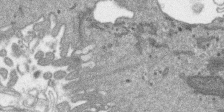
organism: Human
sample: Lung epithelial cells infected with SARS-CoV-2